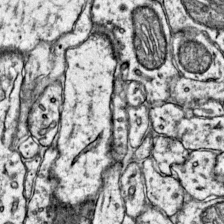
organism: Mouse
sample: Primary visual cortex